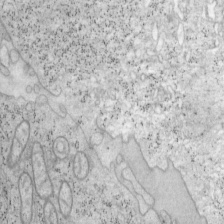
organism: Mouse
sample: OT-I killer T cells with ID8 ovarian cancer cells